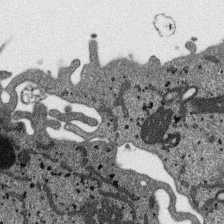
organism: Human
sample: Lung epithelial cells infected with SARS-CoV-2